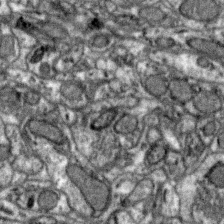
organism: Zebra finch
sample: Brain